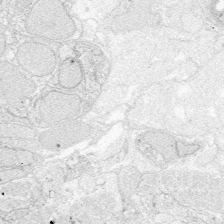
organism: Zebrafish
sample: Whole-Brain